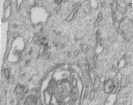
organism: Human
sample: Centriole in RPE cells